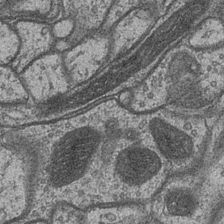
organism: Drosophila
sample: Optic medulla